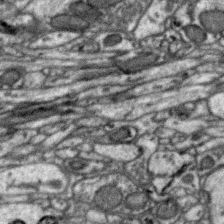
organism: Zebra finch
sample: Brain